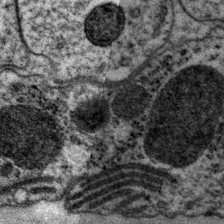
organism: P. pacificus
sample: Pharynx